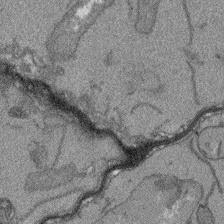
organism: Arabidopsis thaliana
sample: Root tip